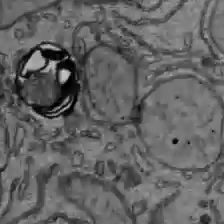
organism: C57BL Mouse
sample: Liver